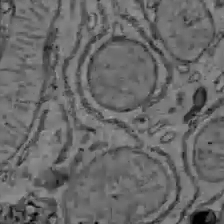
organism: C57BL Mouse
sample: Liver